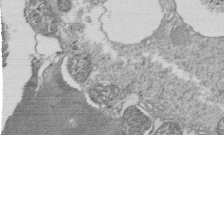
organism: Tetrahymena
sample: Cilia in tetrahymena